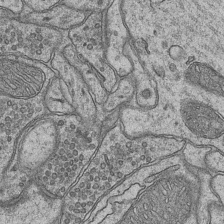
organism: Mouse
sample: CA1 Hippocampus